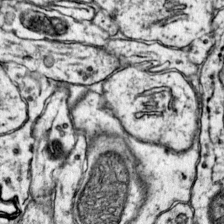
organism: Mouse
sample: Primary visual cortex